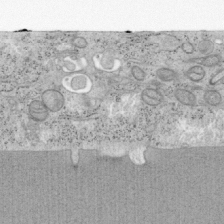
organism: Human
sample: HeLa cells